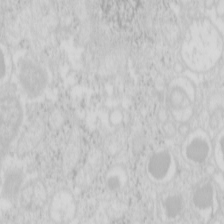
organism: Mouse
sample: Pancreas